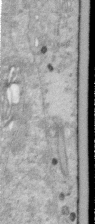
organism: Human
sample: Centriole in RPE cells